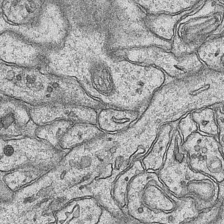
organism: Mouse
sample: CA1 Hippocampus